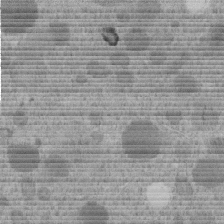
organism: C. elegans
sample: C. elegans embryo early stage